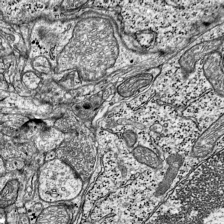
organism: Mouse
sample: Visual Cortex